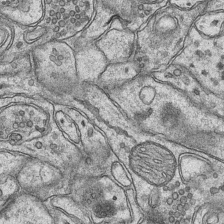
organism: Mouse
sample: CA1 Hippocampus